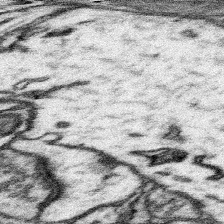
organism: Mouse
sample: Somatosensory cortex neuropil